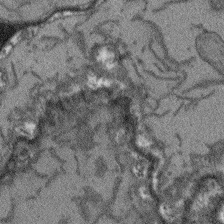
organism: Arabidopsis thaliana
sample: Root tip